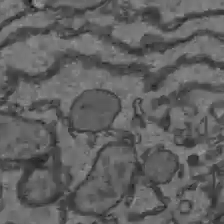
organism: C57BL Mouse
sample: Liver